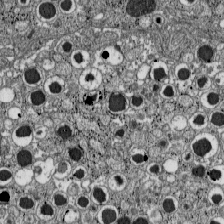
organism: C57BL Mouse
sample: Pancreatic islet